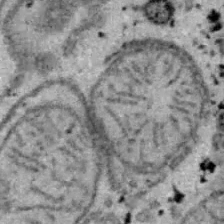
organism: Mouse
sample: Liver from an obese (ob/ob) mouse